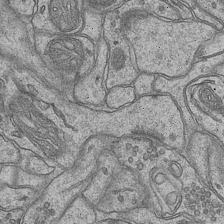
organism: Mouse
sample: CA1 Hippocampus